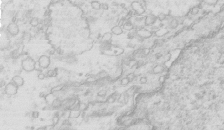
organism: Mouse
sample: Multiciliated cells